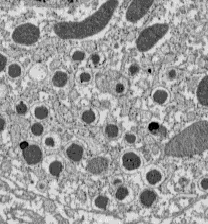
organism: C57BL Mouse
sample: Pancreatic islet